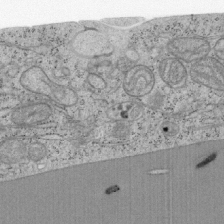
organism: Human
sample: HeLa cells